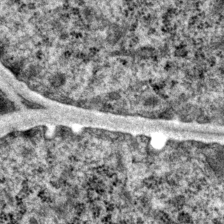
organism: P. pacificus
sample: Pharynx